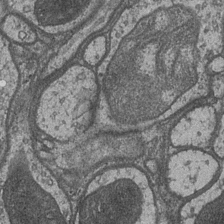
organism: Drosophila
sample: Optic medulla